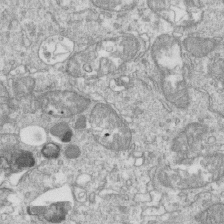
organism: Mouse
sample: Activated OT-1 CD8+ T cells